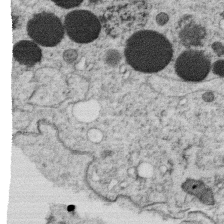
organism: C. elegans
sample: C. elegans oocyte; sperm cells